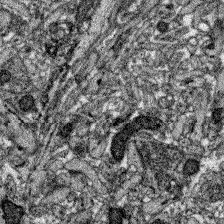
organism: Zebrafish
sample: Larval olfactory bulb